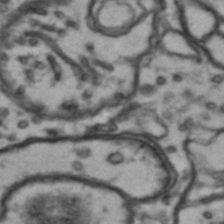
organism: Drosophila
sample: Brain